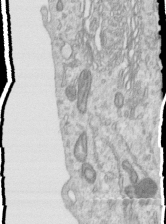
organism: Human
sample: Centriole in RPE cells